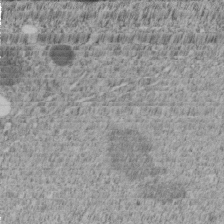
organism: C. elegans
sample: C. elegans embryo early stage